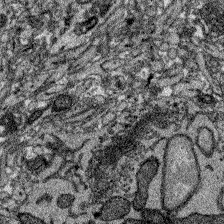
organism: Zebrafish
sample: Larval olfactory bulb